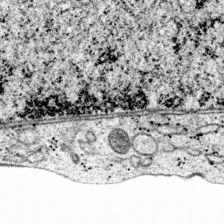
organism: Human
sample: HeLa cells